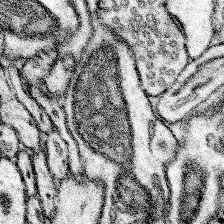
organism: Mouse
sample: Somatosensory cortex neuropil